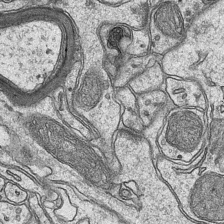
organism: Mouse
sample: CA1 Hippocampus